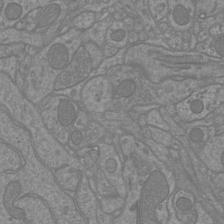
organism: Mouse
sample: Cortical neurons